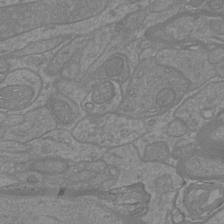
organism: Mouse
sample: Cortical neurons